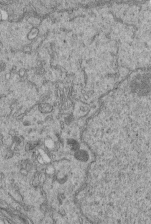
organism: Human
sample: Retinal organoid Rod and Cone cells